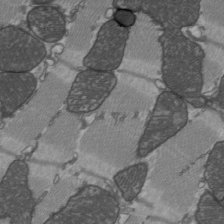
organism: C57BL Mouse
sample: Heart